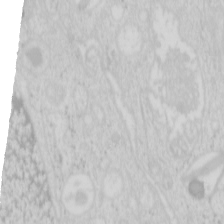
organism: Mouse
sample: Pancreas